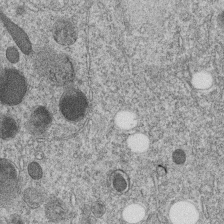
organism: C. elegans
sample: C. elegans embryo early stage